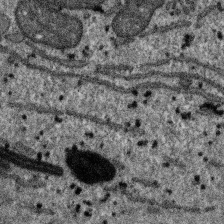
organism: Human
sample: Lung epithelial cells infected with SARS-CoV-2